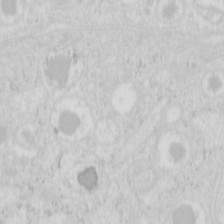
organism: Mouse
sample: Pancreas